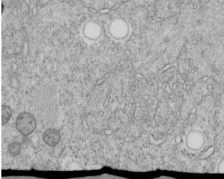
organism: C. elegans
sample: C. elegans embryo early stage